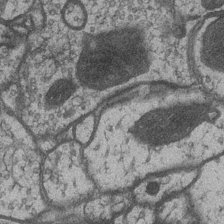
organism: Drosophila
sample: Optic medulla